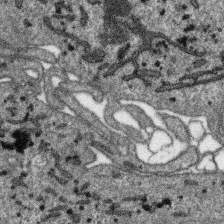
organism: Human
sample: Lung epithelial cells infected with SARS-CoV-2